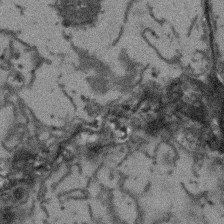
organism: Arabidopsis thaliana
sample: Root tip